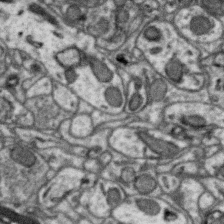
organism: Zebra finch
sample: Brain